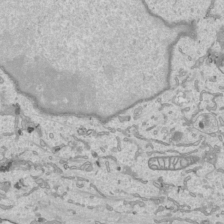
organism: Human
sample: Mitochondria in HCT116 cells